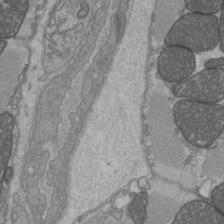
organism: C57BL Mouse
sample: Heart